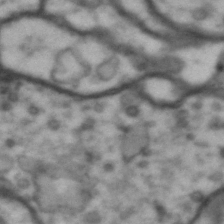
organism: Drosophila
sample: Brain